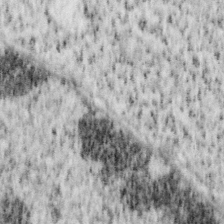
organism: Mouse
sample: OT-I killer T cells with ID8 ovarian cancer cells